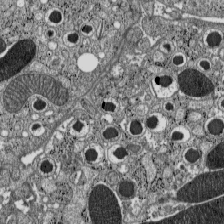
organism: C57BL Mouse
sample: Pancreatic islet